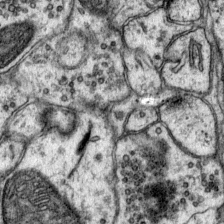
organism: Mouse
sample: Primary visual cortex